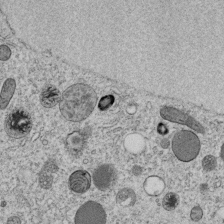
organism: C. elegans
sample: C. elegans embryo early stage